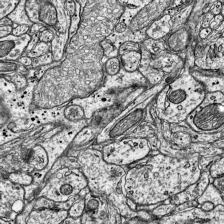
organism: Mouse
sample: Visual Cortex